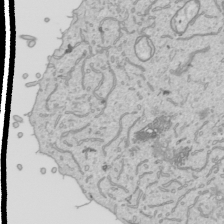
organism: Human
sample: Mitochondria in HCT116 cells